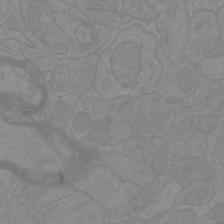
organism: Mouse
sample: Cortical neurons